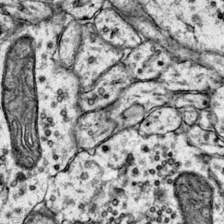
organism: Mouse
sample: Primary visual cortex